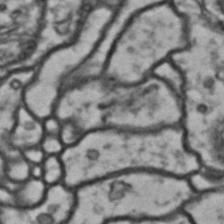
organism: Drosophila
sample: Brain